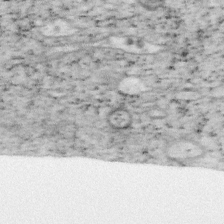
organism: Mouse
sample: OT-I killer T cells with ID8 ovarian cancer cells